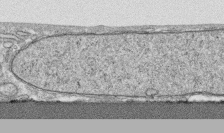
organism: Human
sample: CRL-1474